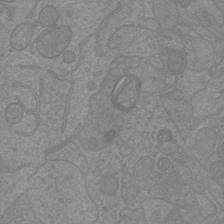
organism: Mouse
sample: Cortical neurons